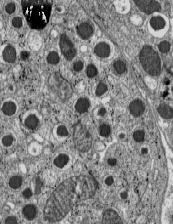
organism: C57BL Mouse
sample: Pancreatic islet